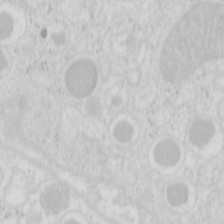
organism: Mouse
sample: Pancreas